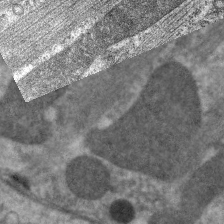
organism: C. elegans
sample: Pharynx